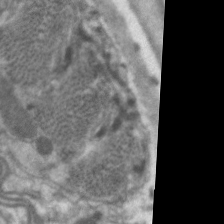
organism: C. elegans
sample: Pharynx